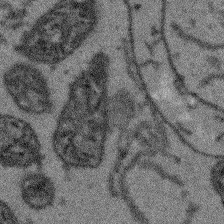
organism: Arabidopsis thaliana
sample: Root tip